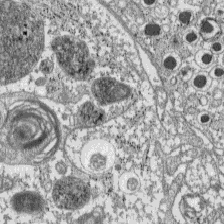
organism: C57BL Mouse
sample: Pancreatic islet